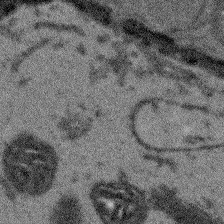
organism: Arabidopsis thaliana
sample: Root tip